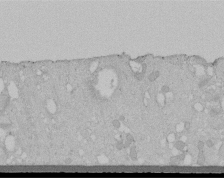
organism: Human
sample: Melanocyte Keratinocyte synapse skin construct